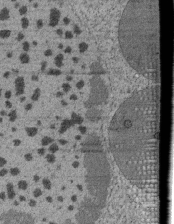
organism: Tetrahymena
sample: Cilia in tetrahymena